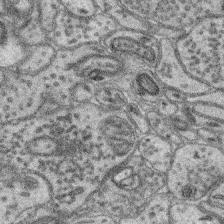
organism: Mouse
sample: Retina